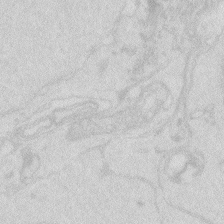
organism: Zebrafish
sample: Macrophage